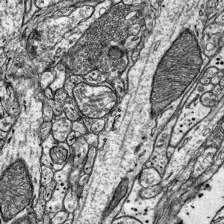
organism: Mouse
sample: Visual Cortex